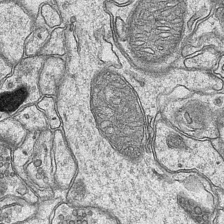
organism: Mouse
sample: CA1 Hippocampus